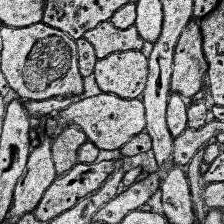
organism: Human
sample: Temporal Lobe